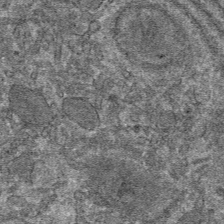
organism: Mouse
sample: Mouse hepatocytes